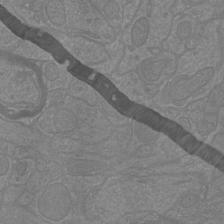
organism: Mouse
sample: Cortical neurons